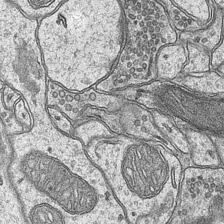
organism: Mouse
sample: CA1 Hippocampus